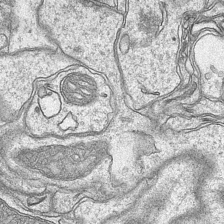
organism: Mouse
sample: CA1 Hippocampus